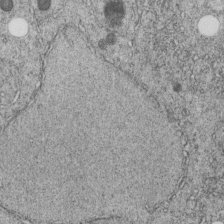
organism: C. elegans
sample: C. elegans embryo early stage